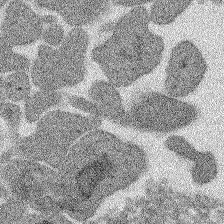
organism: Human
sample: HeLa cells